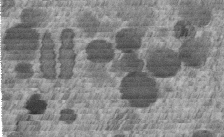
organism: C. elegans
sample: C. elegans embryo early stage